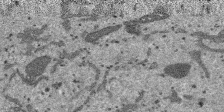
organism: Human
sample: Lung epithelial cells infected with SARS-CoV-2